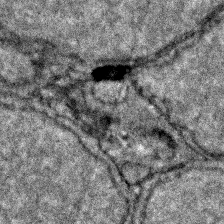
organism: Zebrafish